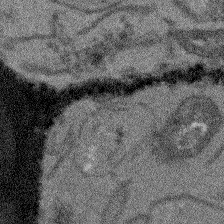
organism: Arabidopsis thaliana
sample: Root tip